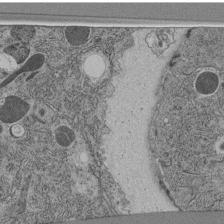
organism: C. elegans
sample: C. elegans pharynx